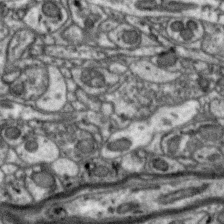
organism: Zebra finch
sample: Brain